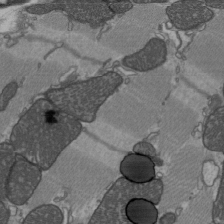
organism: C57BL Mouse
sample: Heart